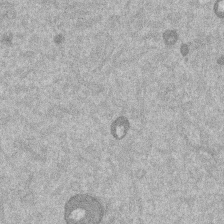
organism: Mouse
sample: Dividing mouse embryo 1 cell stage